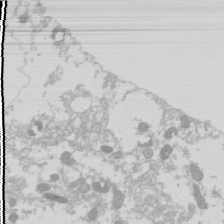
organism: Drosophila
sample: Cell division; meiosis; drosophila spermatocytes